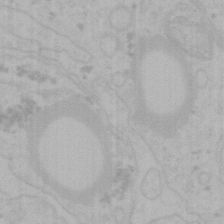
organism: Mouse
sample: Choroid plexus